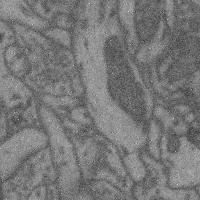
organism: Mouse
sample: Cerebral cortex